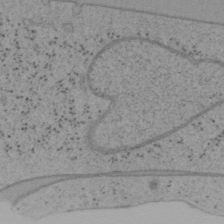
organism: Human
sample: HeLa cells